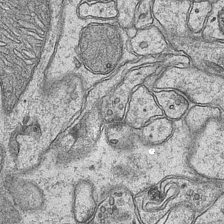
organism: Mouse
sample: CA1 Hippocampus